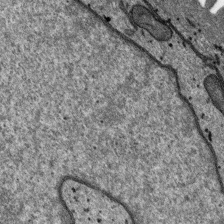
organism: Human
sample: Lung epithelial cells, uninfected (mock) control